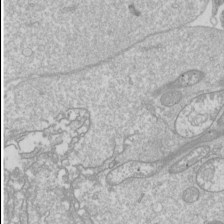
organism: Drosophila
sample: Cell division; meiosis; drosophila spermatocytes